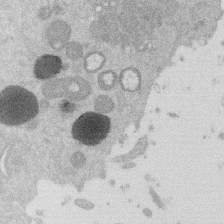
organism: Mouse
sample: Dividing mouse embryo 1 cell stage